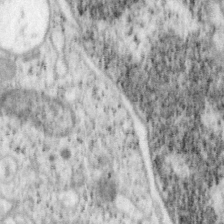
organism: Mouse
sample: OT-I killer T cells with ID8 ovarian cancer cells